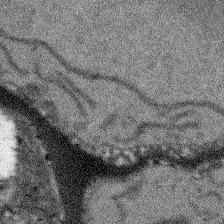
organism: Arabidopsis thaliana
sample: Root tip